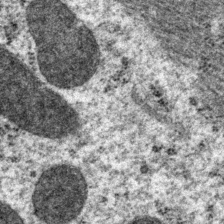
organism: P. pacificus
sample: Pharynx